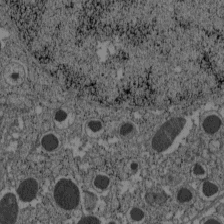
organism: C57BL Mouse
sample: Pancreatic islet